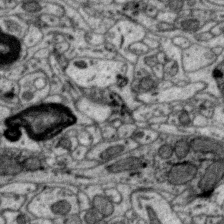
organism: Zebra finch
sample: Brain